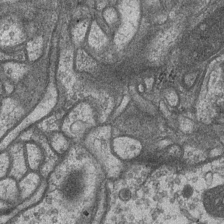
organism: Drosophila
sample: Optic medulla